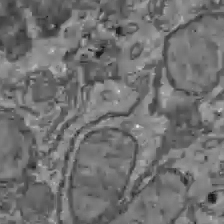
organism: C57BL Mouse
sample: Liver